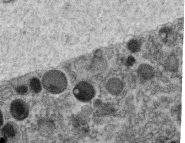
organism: C. elegans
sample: C. elegans oocyte; sperm cells